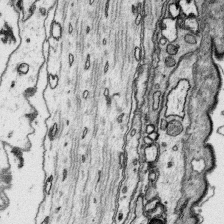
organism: Platynereis dumerilii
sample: Parapodia